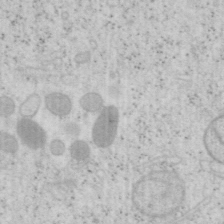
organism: Human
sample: HeLa cells